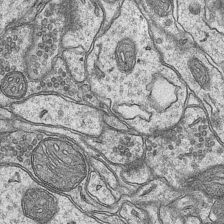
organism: Mouse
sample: CA1 Hippocampus